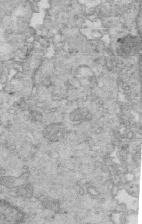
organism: Mouse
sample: Multiciliated cells